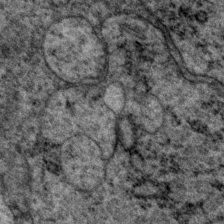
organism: P. pacificus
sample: Pharynx